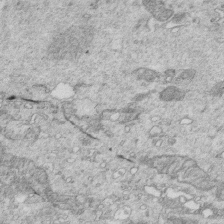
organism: Mouse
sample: Multiciliated cells